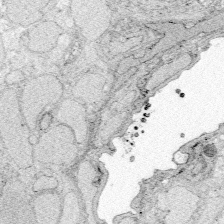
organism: Zebrafish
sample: Whole-Brain